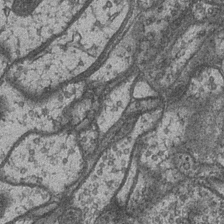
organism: Drosophila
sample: Optic medulla